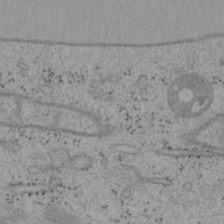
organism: Human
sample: HeLa cells